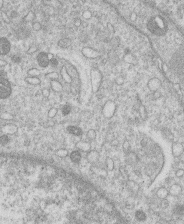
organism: Human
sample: Macrophage cells